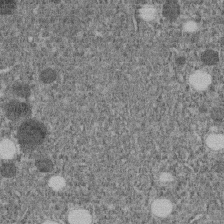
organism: C. elegans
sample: C. elegans embryo early stage